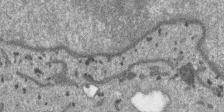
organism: Human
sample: Lung epithelial cells infected with SARS-CoV-2